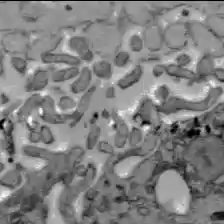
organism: C57BL Mouse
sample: Liver